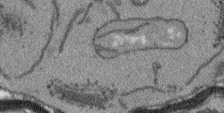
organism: Arabidopsis thaliana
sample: Root tip